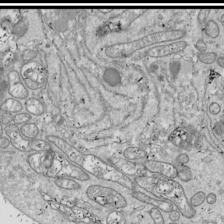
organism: Drosophila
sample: Cell division; meiosis; drosophila spermatocytes